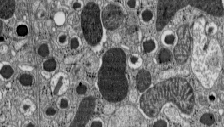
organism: C57BL Mouse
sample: Pancreatic islet